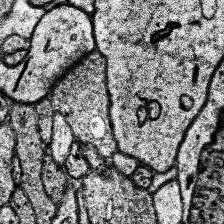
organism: Human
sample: Temporal Lobe